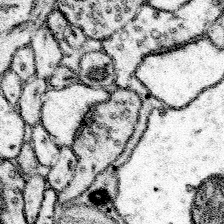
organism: Mouse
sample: Somatosensory cortex neuropil